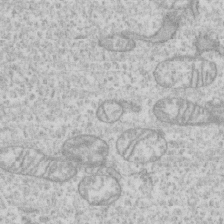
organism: Human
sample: CRL-1474